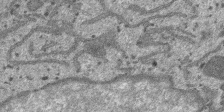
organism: Human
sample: Lung epithelial cells infected with SARS-CoV-2